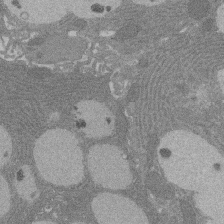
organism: Rat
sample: Salivary granule